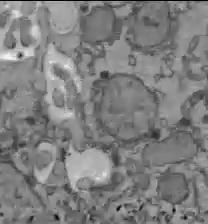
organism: C57BL Mouse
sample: Liver